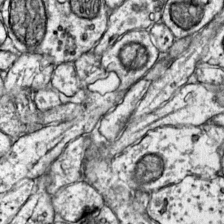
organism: Mouse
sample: Primary visual cortex